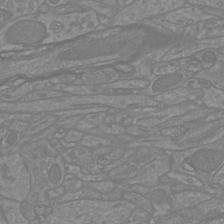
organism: Mouse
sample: Cortical neurons